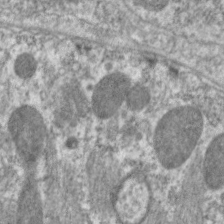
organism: C. elegans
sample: Pharynx